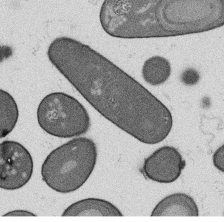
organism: B. subtilis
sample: Bacterial spore